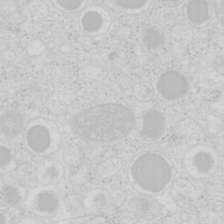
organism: Mouse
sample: Pancreas